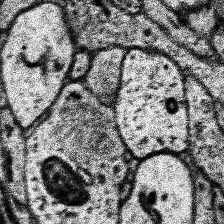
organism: Human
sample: Temporal Lobe